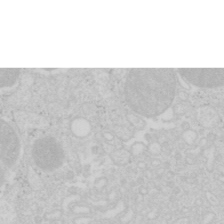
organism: Mouse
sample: Pancreas